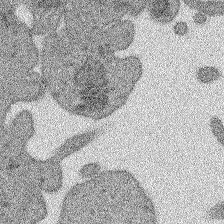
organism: Human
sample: HeLa cells